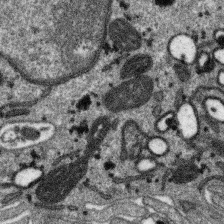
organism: Human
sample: Lung epithelial cells infected with SARS-CoV-2